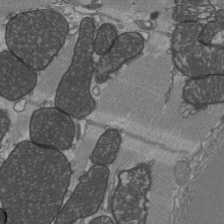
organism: C57BL Mouse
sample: Heart